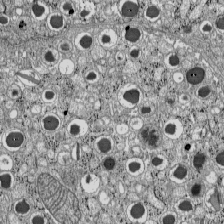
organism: C57BL Mouse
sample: Pancreatic islet